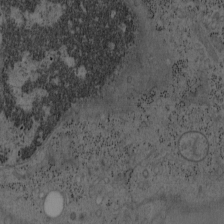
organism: Mouse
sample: OT-I killer T cells with ID8 ovarian cancer cells